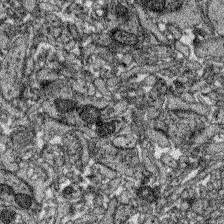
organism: Zebrafish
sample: Larval olfactory bulb